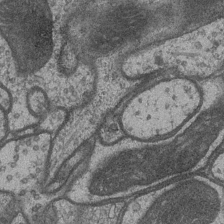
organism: Drosophila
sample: Optic medulla